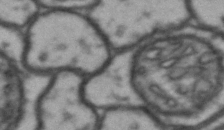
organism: Drosophila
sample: Brain